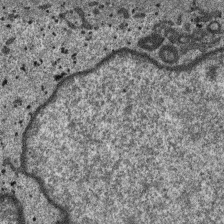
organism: Human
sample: Lung epithelial cells infected with SARS-CoV-2